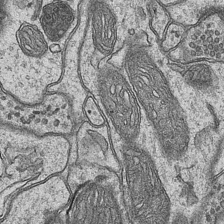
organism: Mouse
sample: CA1 Hippocampus